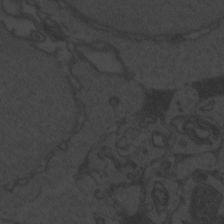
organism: Zebrafish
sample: Macrophage infected with Toxoplasma gondii